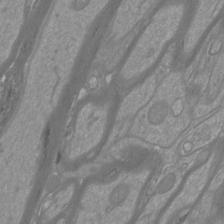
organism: Mouse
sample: Cortical neurons